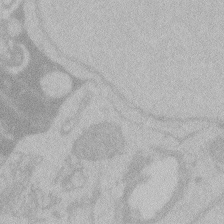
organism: Zebrafish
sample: Macrophage infected with Toxoplasma gondii